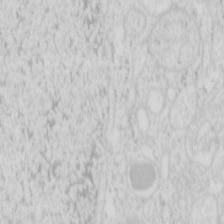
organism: Mouse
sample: Pancreas